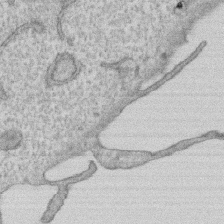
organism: Human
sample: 1205lu cells